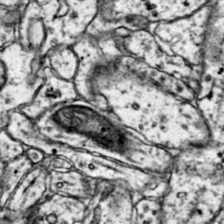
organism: Mouse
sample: Primary visual cortex